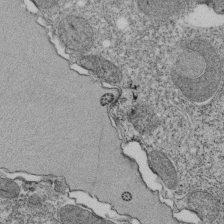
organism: Tetrahymena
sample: Cilia in tetrahymena